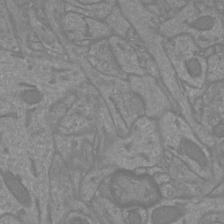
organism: Mouse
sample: Cortical neurons